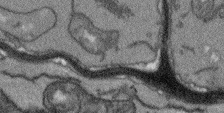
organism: Arabidopsis thaliana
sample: Root tip